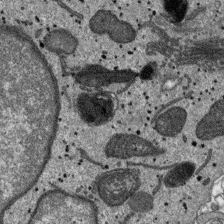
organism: Human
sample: Lung epithelial cells, uninfected (mock) control